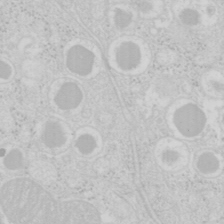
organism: Mouse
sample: Pancreas